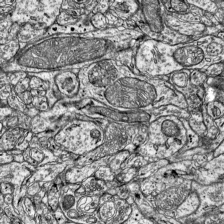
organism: Mouse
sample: Visual Cortex